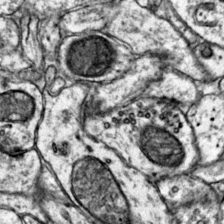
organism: Mouse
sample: Primary visual cortex